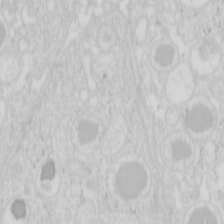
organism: Mouse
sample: Pancreas